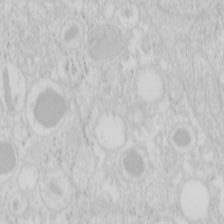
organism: Mouse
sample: Pancreas